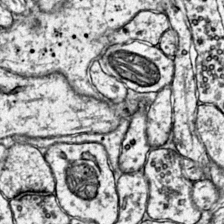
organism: Mouse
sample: Primary visual cortex